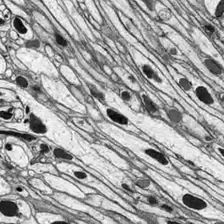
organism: Drosophila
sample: Optic lobe